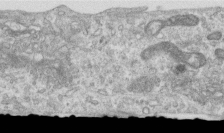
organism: Human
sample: Centriole in RPE cells